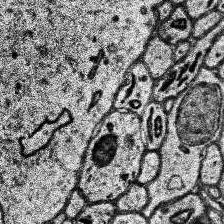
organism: Human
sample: Temporal Lobe